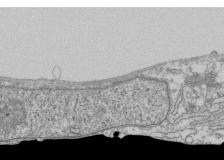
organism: Human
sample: Fibroblast cells